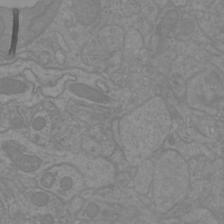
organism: Mouse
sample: Cortical neurons